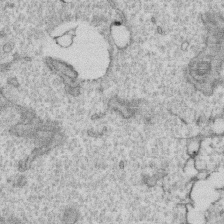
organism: Human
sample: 1205lu cells